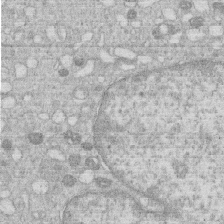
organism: Human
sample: Macrophage cells